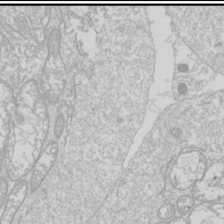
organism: Drosophila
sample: Cell division; meiosis; drosophila spermatocytes